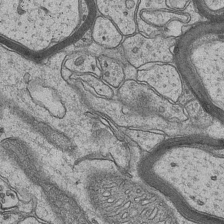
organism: Mouse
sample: CA1 Hippocampus